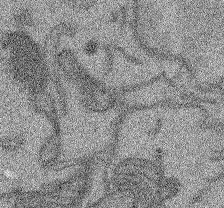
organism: Human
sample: HeLa cells